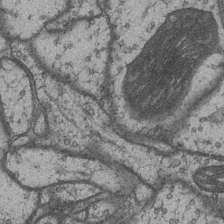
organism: Drosophila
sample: Optic medulla